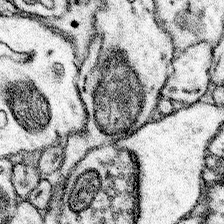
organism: Mouse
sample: Somatosensory cortex neuropil